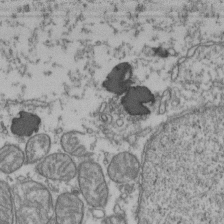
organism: Human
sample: Activated Jurkat CD4+ T cells